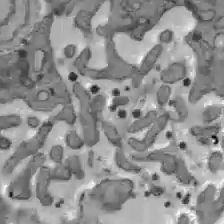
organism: C57BL Mouse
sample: Liver